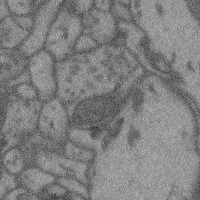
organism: Mouse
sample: Cerebral cortex